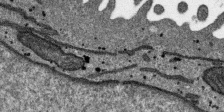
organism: Human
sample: Lung epithelial cells, uninfected (mock) control